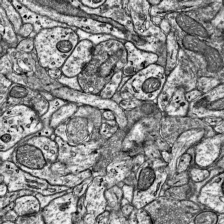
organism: Mouse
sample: Visual Cortex